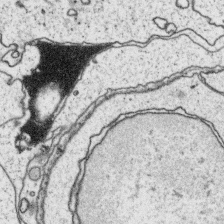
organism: Platynereis dumerilii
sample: Parapodia